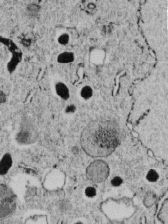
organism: C. elegans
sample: C. elegans embryo early stage